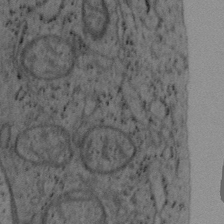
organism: Human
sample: HeLa cells